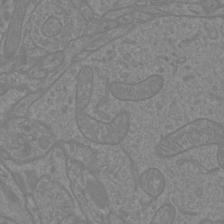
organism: Mouse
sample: Cortical neurons